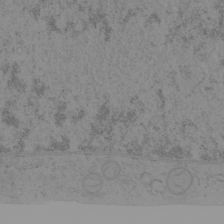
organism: Human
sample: HeLa cells